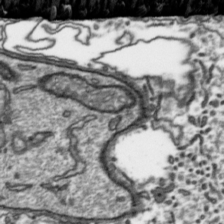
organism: Toxoplasma gondii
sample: Parasites in a vacuole inside a host cell